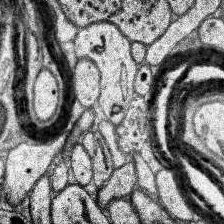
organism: Human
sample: Temporal Lobe